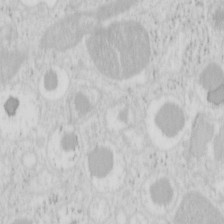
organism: Mouse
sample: Pancreas